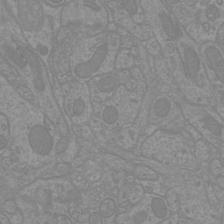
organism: Mouse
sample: Cortical neurons